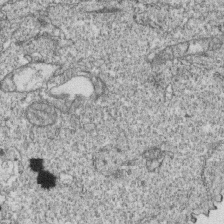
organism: Human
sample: HeLa cell HIV synapse